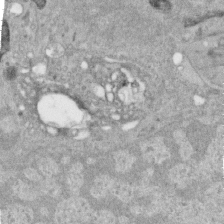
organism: Human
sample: Centriole in RPE cells